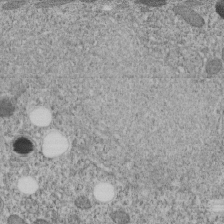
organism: C. elegans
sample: C. elegans embryo early stage